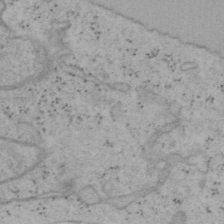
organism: Human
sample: HeLa cells